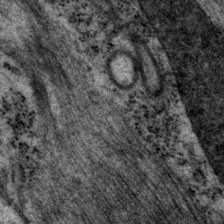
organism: P. pacificus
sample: Pharynx